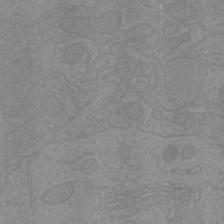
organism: Mouse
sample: Cortical neurons